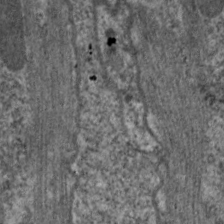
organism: C. elegans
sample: Pharynx